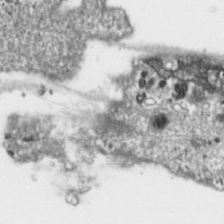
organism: Toxoplasma gondii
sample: Parasites in a vacuole inside a host cell